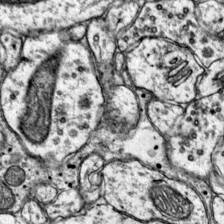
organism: Mouse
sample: Primary visual cortex